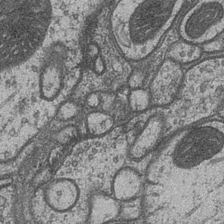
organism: Drosophila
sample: Optic medulla